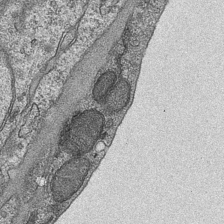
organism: Mouse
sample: CA1 Hippocampus